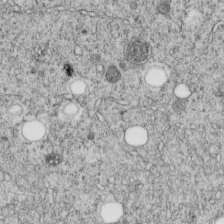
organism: C. elegans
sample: C. elegans embryo early stage